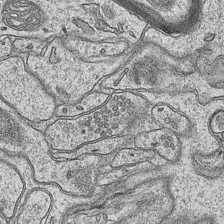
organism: Mouse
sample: CA1 Hippocampus